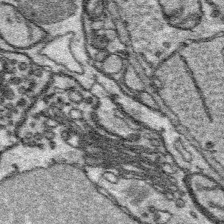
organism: Platynereis dumerilii